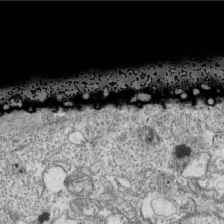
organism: Human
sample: HeLa cell HIV synapse